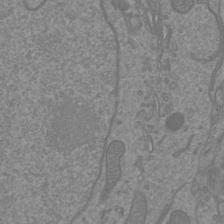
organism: Mouse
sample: Cortical neurons